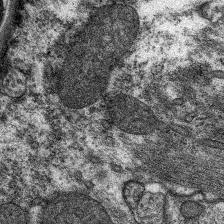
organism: C. elegans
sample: Pharynx